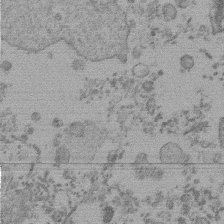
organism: Mouse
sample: Dividing mouse embryo 1 cell stage